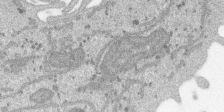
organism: Human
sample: Lung epithelial cells infected with SARS-CoV-2